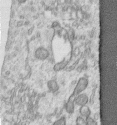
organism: Human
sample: Centriole in RPE cells